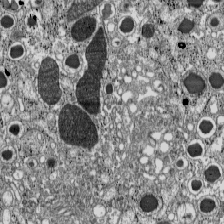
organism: C57BL Mouse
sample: Pancreatic islet